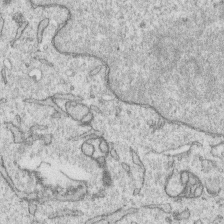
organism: Human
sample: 1205lu cells